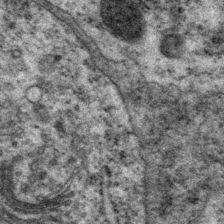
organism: P. pacificus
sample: Pharynx